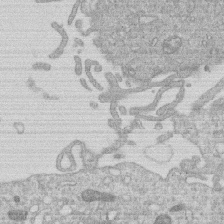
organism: Human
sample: Macrophage cells